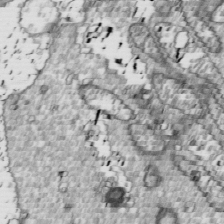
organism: Drosophila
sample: Cell division; meiosis; drosophila spermatocytes